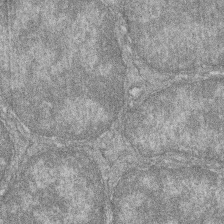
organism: Zebrafish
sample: Cilia; retinal pigment epithelium